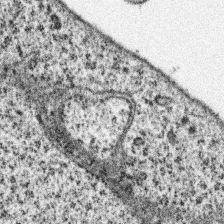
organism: Human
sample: HeLa cells